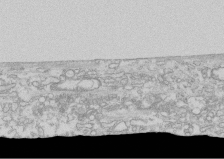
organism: Human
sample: CRL-1474